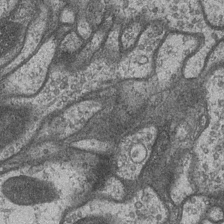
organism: Drosophila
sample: Optic medulla